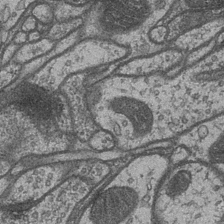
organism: Drosophila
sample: Optic medulla